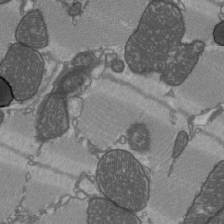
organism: C57BL Mouse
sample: Heart